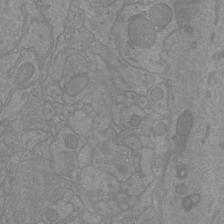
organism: Mouse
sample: Cortical neurons